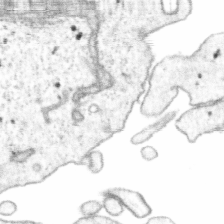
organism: Human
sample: HeLa cells